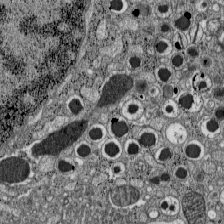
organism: C57BL Mouse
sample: Pancreatic islet